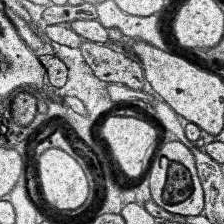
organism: Human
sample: Temporal Lobe